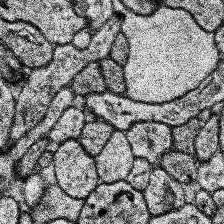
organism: Human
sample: Temporal Lobe